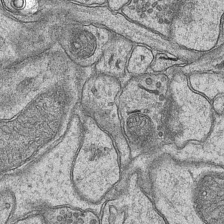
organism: Mouse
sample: CA1 Hippocampus